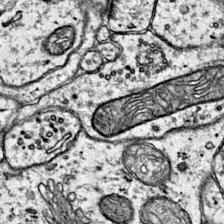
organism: Mouse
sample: Primary visual cortex